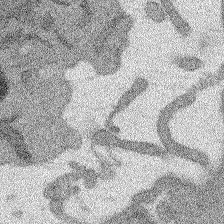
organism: Human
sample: HeLa cells